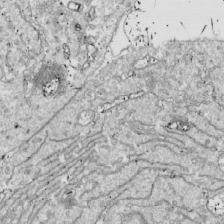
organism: Drosophila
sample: Cell division; meiosis; drosophila spermatocytes